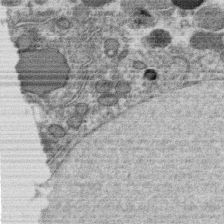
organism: C. elegans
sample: C. elegans oocyte; sperm cells